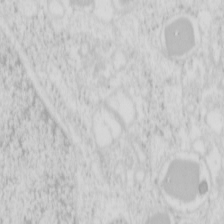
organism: Mouse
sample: Pancreas